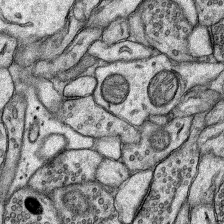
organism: Rat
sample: Hippocampus